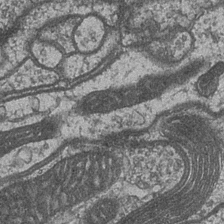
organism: Drosophila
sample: Optic medulla